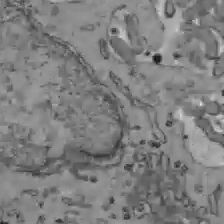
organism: C57BL Mouse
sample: Liver